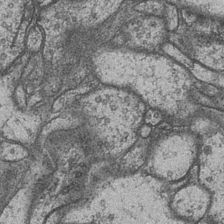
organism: Drosophila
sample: Optic medulla